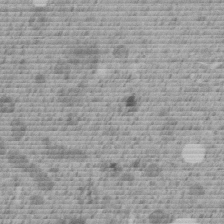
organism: C. elegans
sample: C. elegans embryo early stage